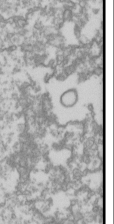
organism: Drosophila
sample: Cell division; meiosis; drosophila spermatocytes